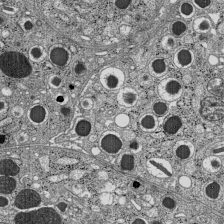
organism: C57BL Mouse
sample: Pancreatic islet